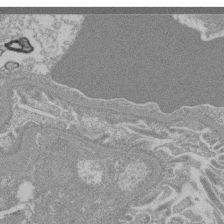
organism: Mouse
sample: Glomerulus